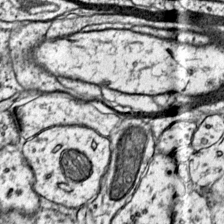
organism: Mouse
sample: Primary visual cortex